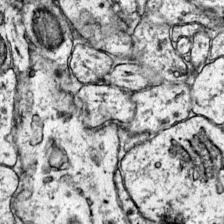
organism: Mouse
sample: Primary visual cortex